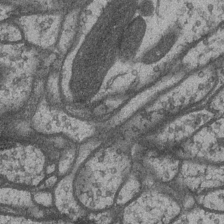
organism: Drosophila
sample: Optic medulla